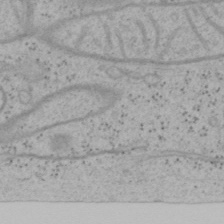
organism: Human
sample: HeLa cells